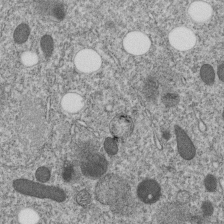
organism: C. elegans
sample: C. elegans embryo early stage